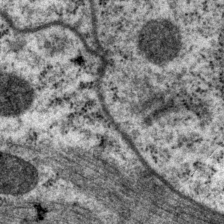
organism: P. pacificus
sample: Pharynx